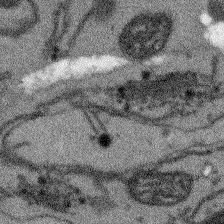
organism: Arabidopsis thaliana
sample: Root tip